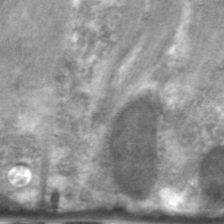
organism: C. elegans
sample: Pharynx